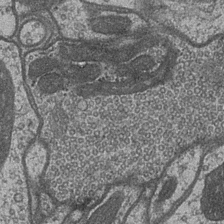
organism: Drosophila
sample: Optic medulla